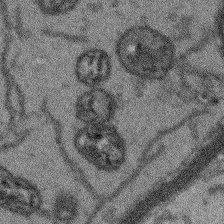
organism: Arabidopsis thaliana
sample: Root tip